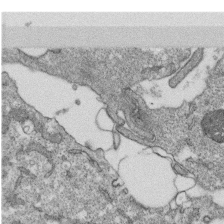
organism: African green monkey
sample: Vero E6 cells infected with SARS-CoV-2